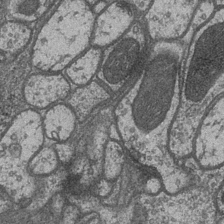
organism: Drosophila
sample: Optic medulla